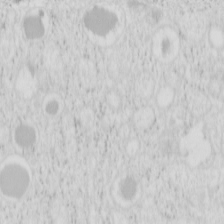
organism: Mouse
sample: Pancreas